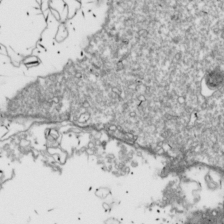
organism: Drosophila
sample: Cell division; meiosis; drosophila spermatocytes